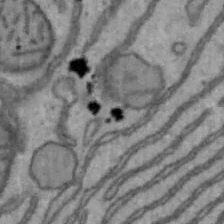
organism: Mouse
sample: Liver